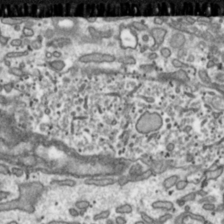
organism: Toxoplasma gondii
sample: Parasites in a vacuole inside a host cell